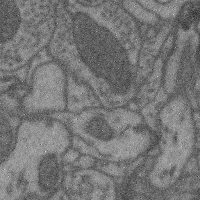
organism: Mouse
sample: Cerebral cortex